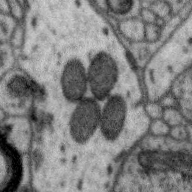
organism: Zebra finch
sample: Brain